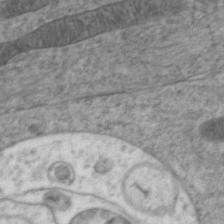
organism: Zebrafish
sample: Zebrafish embryo